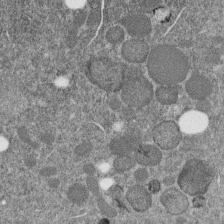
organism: C. elegans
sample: C. elegans embryo early stage